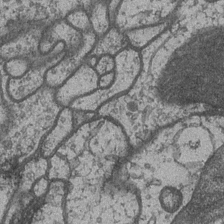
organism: Drosophila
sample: Optic medulla